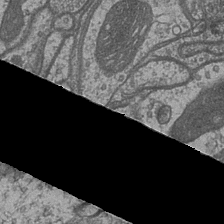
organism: Drosophila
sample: Optic medulla